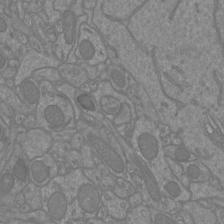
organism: Mouse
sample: Cortical neurons